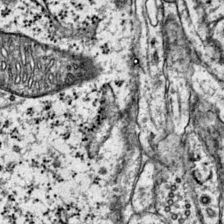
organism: Mouse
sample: Primary visual cortex